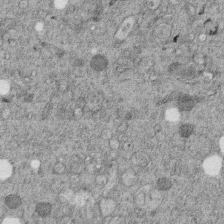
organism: C. elegans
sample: C. elegans embryo early stage